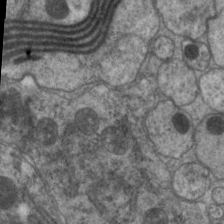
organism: C. elegans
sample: Pharynx